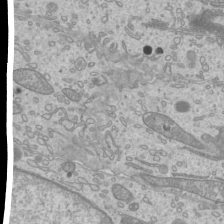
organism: Mouse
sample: Cilia; mouse epididymis